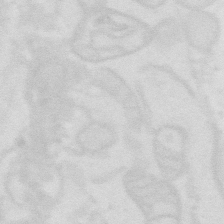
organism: Human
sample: HeLa cells